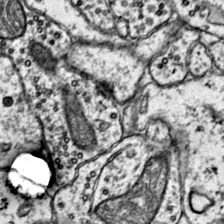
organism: Mouse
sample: Primary visual cortex